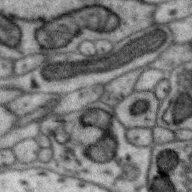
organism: Zebra finch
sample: Brain